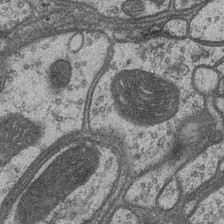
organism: Drosophila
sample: Optic medulla